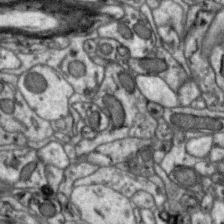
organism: Zebra finch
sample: Brain